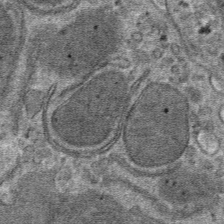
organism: Mouse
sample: Mouse hepatocytes